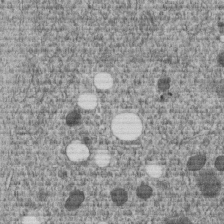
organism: C. elegans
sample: C. elegans embryo early stage